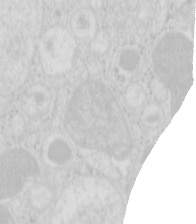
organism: Mouse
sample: Pancreas